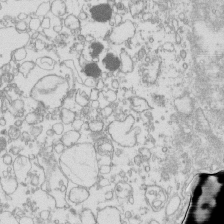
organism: Mouse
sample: Macrophages